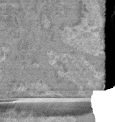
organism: Mouse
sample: Glomerulus